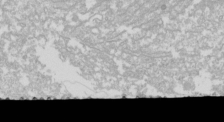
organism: Drosophila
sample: Cell division; meiosis; drosophila spermatocytes